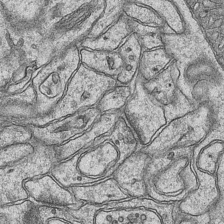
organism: Mouse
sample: CA1 Hippocampus